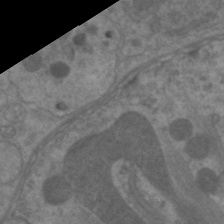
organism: C. elegans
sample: Pharynx